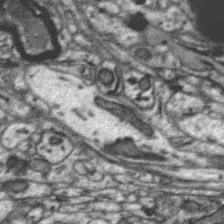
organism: Zebra finch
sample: Brain